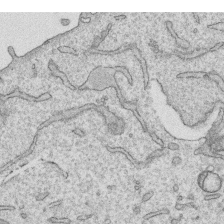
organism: Human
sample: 1205lu cells